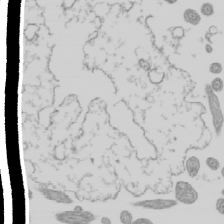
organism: Mouse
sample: Cilia; mouse epididymis